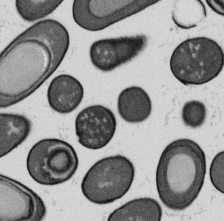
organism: B. subtilis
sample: Bacterial spore